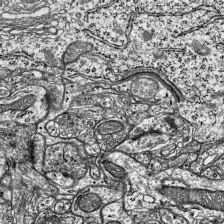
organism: Mouse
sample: Visual Cortex